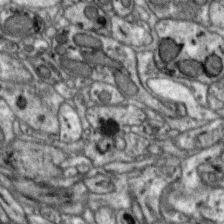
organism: Zebra finch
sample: Brain